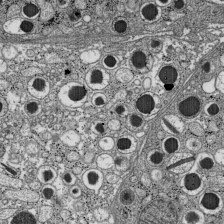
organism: C57BL Mouse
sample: Pancreatic islet